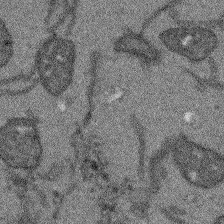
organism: Arabidopsis thaliana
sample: Root tip